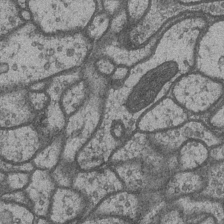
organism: Drosophila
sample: Optic medulla